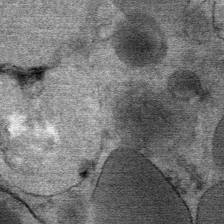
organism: Mouse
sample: Mouse Salivary gland